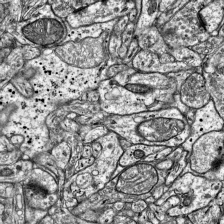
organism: Mouse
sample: Visual Cortex